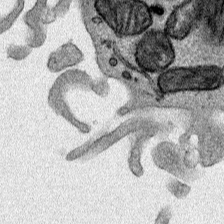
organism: Human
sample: Mitochondria in HCT116 cells